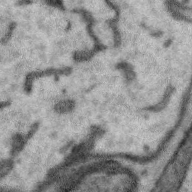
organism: Zebra finch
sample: Brain